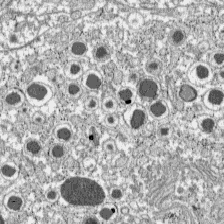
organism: C57BL Mouse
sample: Pancreatic islet